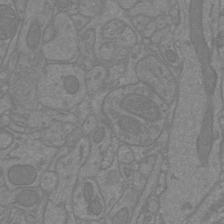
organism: Mouse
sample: Cortical neurons